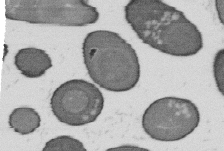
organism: B. subtilis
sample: Bacterial spore